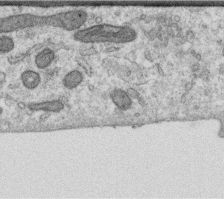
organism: Human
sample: Centriole in RPE cells